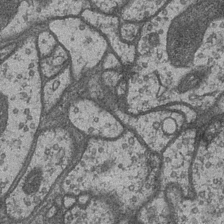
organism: Drosophila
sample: Optic medulla